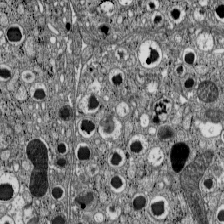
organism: C57BL Mouse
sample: Pancreatic islet